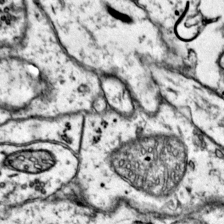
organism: Mouse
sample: Primary visual cortex